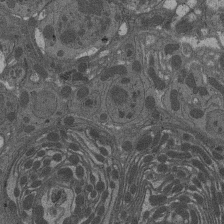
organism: Drosophila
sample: Antenna